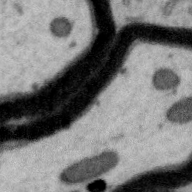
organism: Zebra finch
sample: Brain